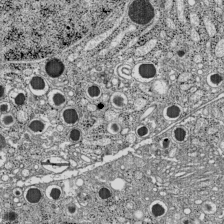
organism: C57BL Mouse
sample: Pancreatic islet